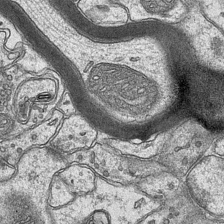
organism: Mouse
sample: CA1 Hippocampus